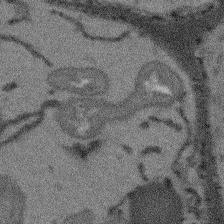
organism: Arabidopsis thaliana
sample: Root tip